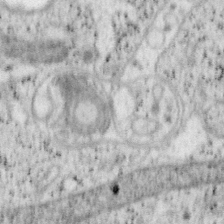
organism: Mouse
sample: OT-I killer T cells with ID8 ovarian cancer cells